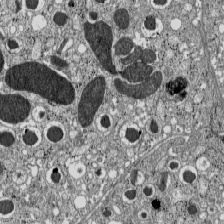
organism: C57BL Mouse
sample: Pancreatic islet